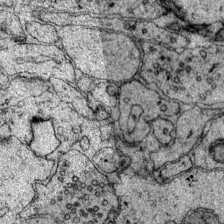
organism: Mouse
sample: Primary visual cortex